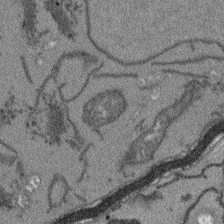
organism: Arabidopsis thaliana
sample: Root tip